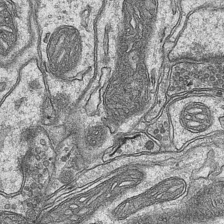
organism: Mouse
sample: CA1 Hippocampus